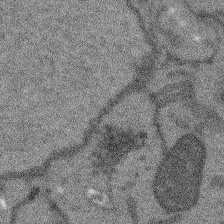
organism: Arabidopsis thaliana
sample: Root tip